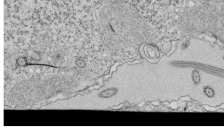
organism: Tetrahymena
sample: Cilia in tetrahymena